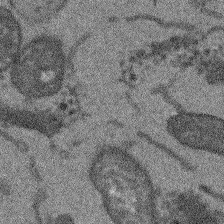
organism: Arabidopsis thaliana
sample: Root tip